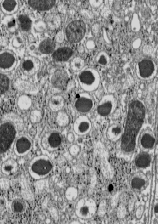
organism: C57BL Mouse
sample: Pancreatic islet